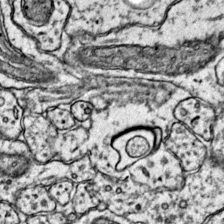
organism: Mouse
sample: Primary visual cortex